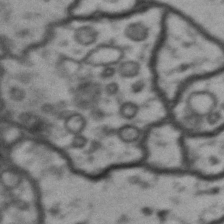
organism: Drosophila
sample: Brain